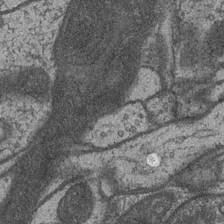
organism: Drosophila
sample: Optic medulla